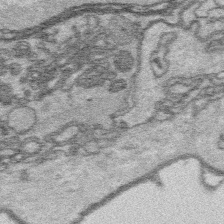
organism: Platynereis dumerilii